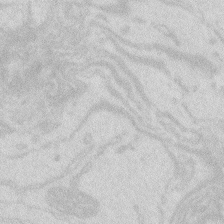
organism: Zebrafish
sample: Macrophage